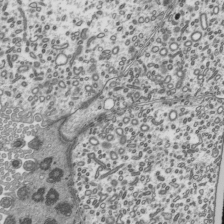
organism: Mouse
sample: Mouse epididymis efferent ductule cilia